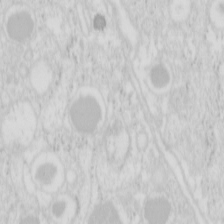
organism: Mouse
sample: Pancreas